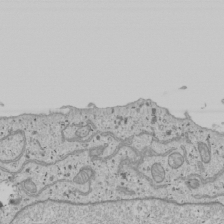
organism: Human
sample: Mitochondria in U2OS cells